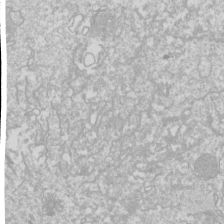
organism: Drosophila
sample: Cell division; meiosis; drosophila spermatocytes